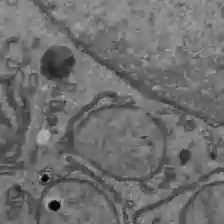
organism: C57BL Mouse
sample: Liver